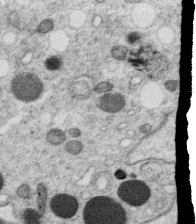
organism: C. elegans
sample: C. elegans oocyte; sperm cells